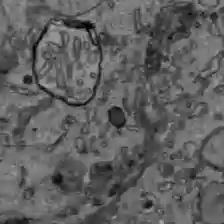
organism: C57BL Mouse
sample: Liver